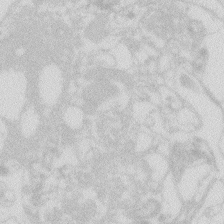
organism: Zebrafish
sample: Macrophage